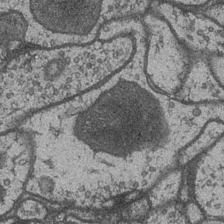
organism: Drosophila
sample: Optic medulla